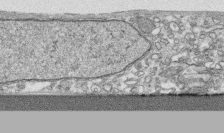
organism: Human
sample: CRL-1474